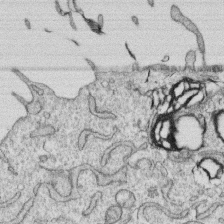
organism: Human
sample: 1205lu cells